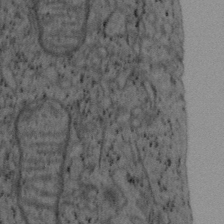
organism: Human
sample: HeLa cells